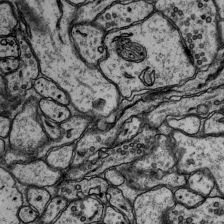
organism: Rat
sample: Hippocampus